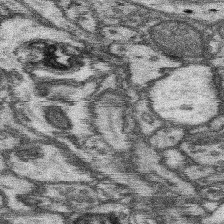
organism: Mouse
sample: Somatosensory cortex neuropil